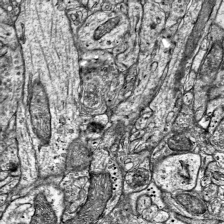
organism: Mouse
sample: Visual Cortex